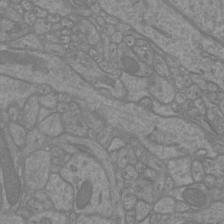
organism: Mouse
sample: Cortical neurons